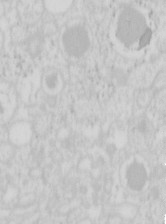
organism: Mouse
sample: Pancreas